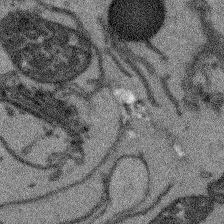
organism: Arabidopsis thaliana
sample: Root tip